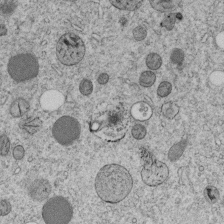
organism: C. elegans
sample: C. elegans embryo early stage